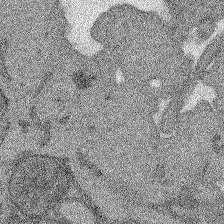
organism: Human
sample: HeLa cells